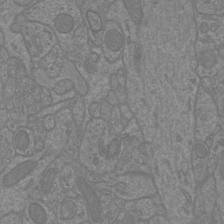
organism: Mouse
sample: Cortical neurons